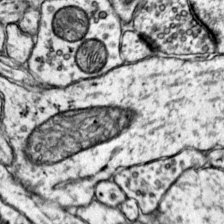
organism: Mouse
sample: Primary visual cortex